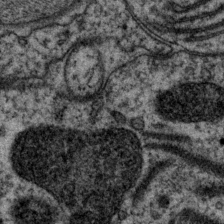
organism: P. pacificus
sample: Pharynx